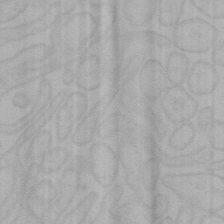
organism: Mouse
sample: Choroid plexus